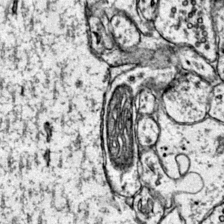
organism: Mouse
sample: Primary visual cortex